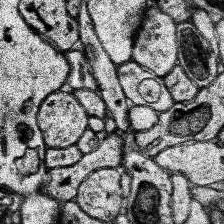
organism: Human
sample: Temporal Lobe